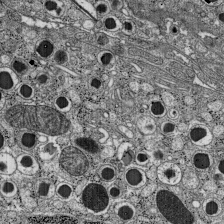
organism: C57BL Mouse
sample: Pancreatic islet